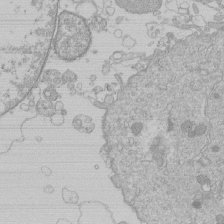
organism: Human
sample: Macrophage cells